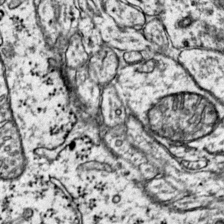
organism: Mouse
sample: Primary visual cortex